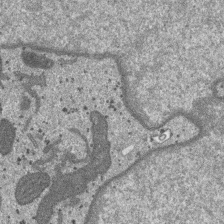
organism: Human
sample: Lung epithelial cells infected with SARS-CoV-2